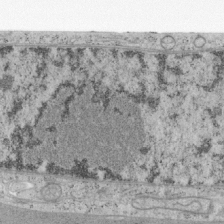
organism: Human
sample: HeLa cells